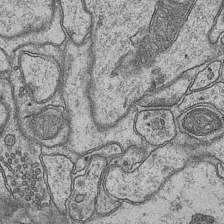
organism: Mouse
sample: CA1 Hippocampus